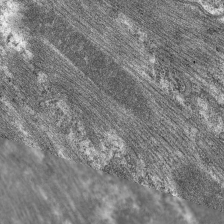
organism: C. elegans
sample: Pharynx